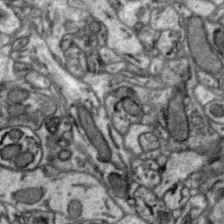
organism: Zebra finch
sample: Brain